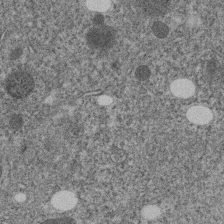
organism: C. elegans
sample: C. elegans embryo early stage